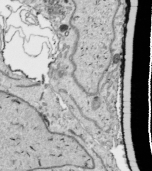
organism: Human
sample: Mitochondria in HCT116 cells